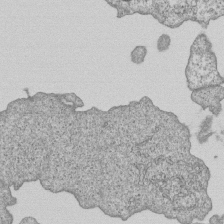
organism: Human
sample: MDA-MB-231 cells